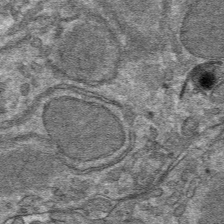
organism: Mouse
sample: Mouse hepatocytes